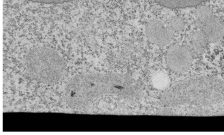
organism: Tetrahymena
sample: Cilia in tetrahymena